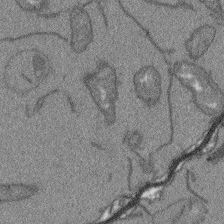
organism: Arabidopsis thaliana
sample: Root tip